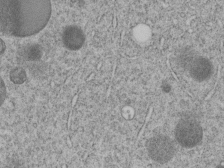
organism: C. elegans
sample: C. elegans embryo early stage